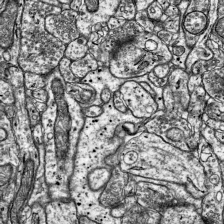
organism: Mouse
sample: Visual Cortex